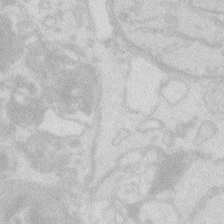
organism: Zebrafish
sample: Macrophage